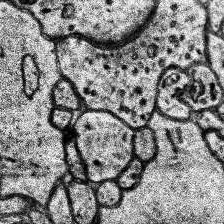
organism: Human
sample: Temporal Lobe